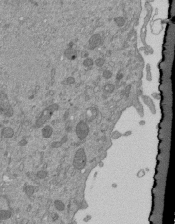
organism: Mouse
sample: ED-1 cell nuclei; centrioles